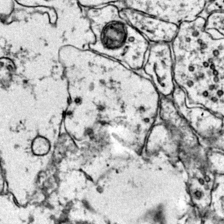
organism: Mouse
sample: Primary visual cortex